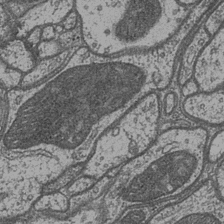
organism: Drosophila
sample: Optic medulla